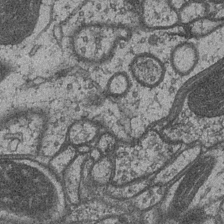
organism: Drosophila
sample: Optic medulla